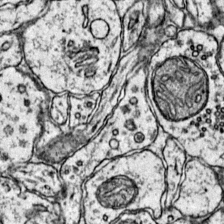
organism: Mouse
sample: Primary visual cortex